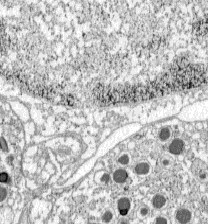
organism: C57BL Mouse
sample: Pancreatic islet